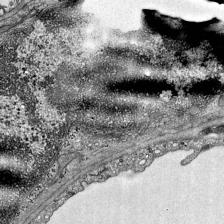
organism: Mouse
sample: Visual Cortex